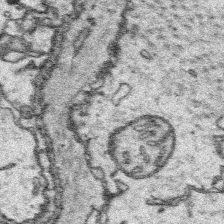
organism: Platynereis dumerilii